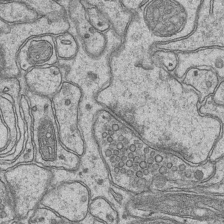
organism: Mouse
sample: CA1 Hippocampus